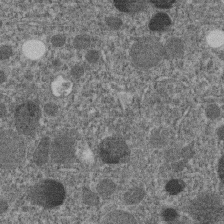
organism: C. elegans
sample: C. elegans embryo early stage